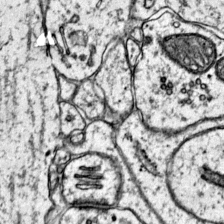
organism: Mouse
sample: Primary visual cortex